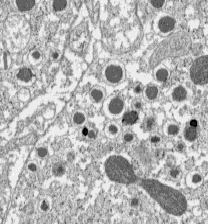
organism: C57BL Mouse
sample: Pancreatic islet